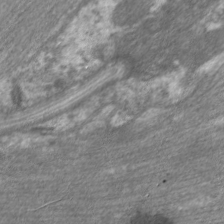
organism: C. elegans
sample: Pharynx